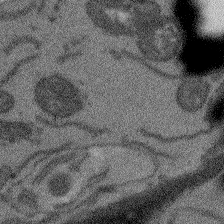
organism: Arabidopsis thaliana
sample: Root tip